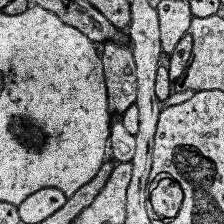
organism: Human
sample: Temporal Lobe